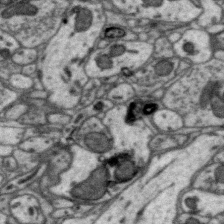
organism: Zebra finch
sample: Brain